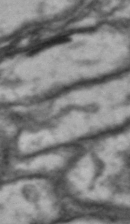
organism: Drosophila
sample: Brain